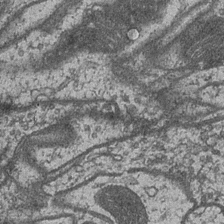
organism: Drosophila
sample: Optic medulla